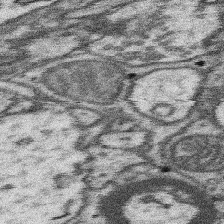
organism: Mouse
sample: Somatosensory cortex neuropil